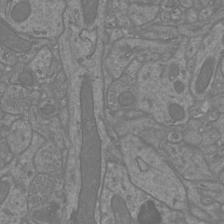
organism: Mouse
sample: Cortical neurons